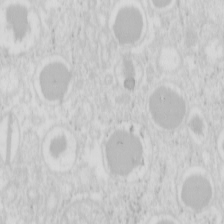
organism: Mouse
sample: Pancreas